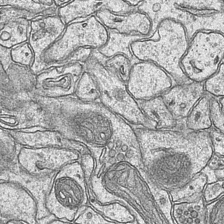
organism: Mouse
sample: CA1 Hippocampus